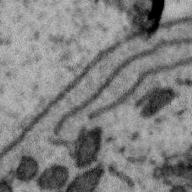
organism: Zebra finch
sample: Brain